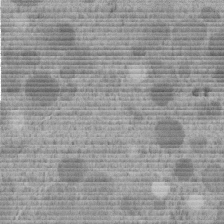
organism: C. elegans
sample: C. elegans embryo early stage